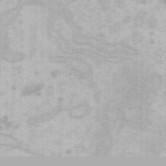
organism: Mouse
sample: Choroid plexus